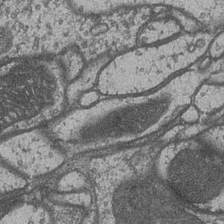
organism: Drosophila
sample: Optic medulla